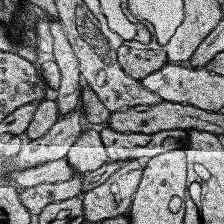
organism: Human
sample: Temporal Lobe